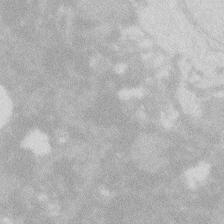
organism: Zebrafish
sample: Macrophage